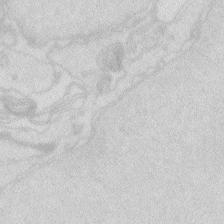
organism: Zebrafish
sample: Macrophage